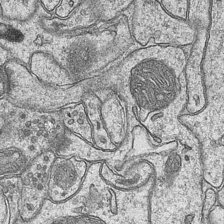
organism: Mouse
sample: CA1 Hippocampus